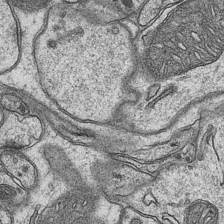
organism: Mouse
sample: CA1 Hippocampus